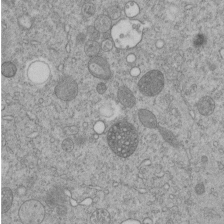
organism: C. elegans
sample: C. elegans embryo early stage